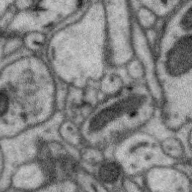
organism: Zebra finch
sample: Brain